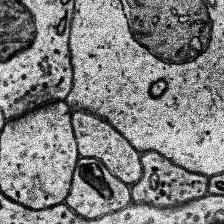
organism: Human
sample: Temporal Lobe